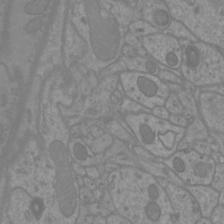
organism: Mouse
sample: Cortical neurons